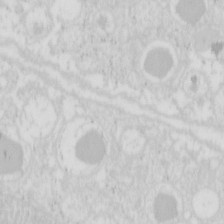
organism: Mouse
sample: Pancreas